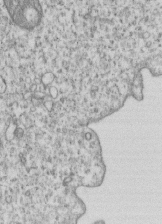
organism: Human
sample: MDA-MB-231 cells